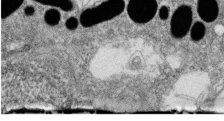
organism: Zebrafish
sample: Cilia; retinal pigment epithelium